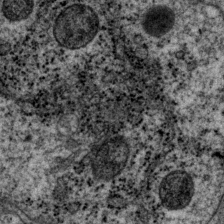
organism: P. pacificus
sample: Pharynx